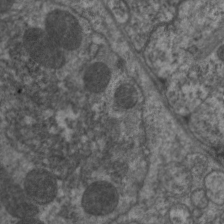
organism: C. elegans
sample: Pharynx